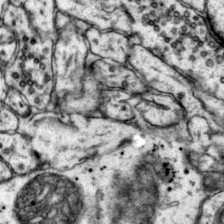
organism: Mouse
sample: Primary visual cortex